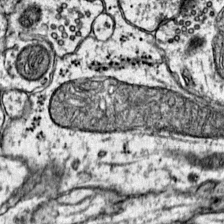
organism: Mouse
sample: Primary visual cortex